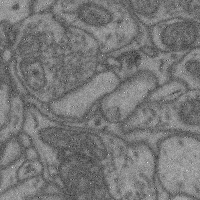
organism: Mouse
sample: Cerebral cortex